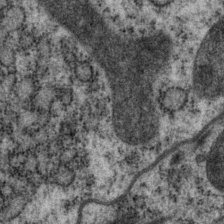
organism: P. pacificus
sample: Pharynx